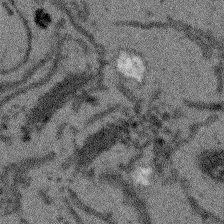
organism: Arabidopsis thaliana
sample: Root tip